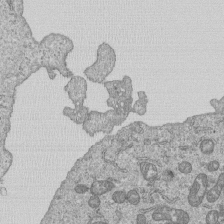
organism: Human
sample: MDA-MB-231 cells